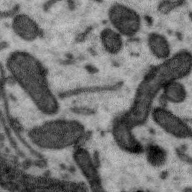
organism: Zebra finch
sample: Brain